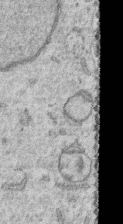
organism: Human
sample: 1205lu cells